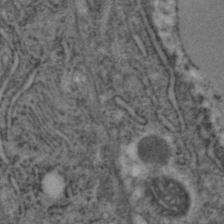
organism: C. elegans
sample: C. elegans embryo